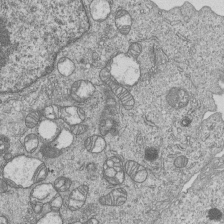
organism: Human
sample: MDA-MB-231 cells